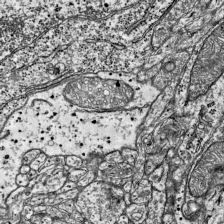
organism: Mouse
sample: Visual Cortex